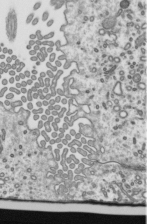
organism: Mouse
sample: Mouse epididymis efferent ductule cilia